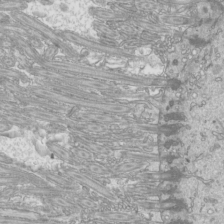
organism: Mouse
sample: Cilia; mouse epididymis